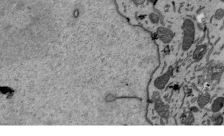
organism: Mouse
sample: ED-1 cell nuclei; centrioles